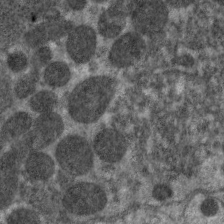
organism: C. elegans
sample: Pharynx